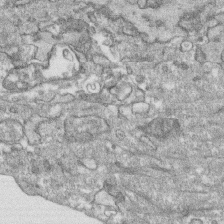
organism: Human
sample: CRL-1474